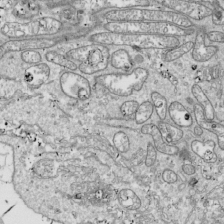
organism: Drosophila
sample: Cell division; meiosis; drosophila spermatocytes